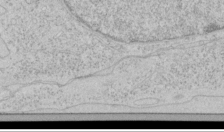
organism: Human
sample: Mitochondria in HCT116 cells